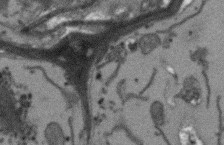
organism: Arabidopsis thaliana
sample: Root tip